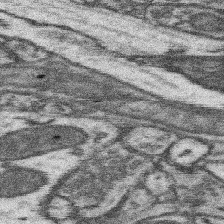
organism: Mouse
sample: Somatosensory cortex neuropil